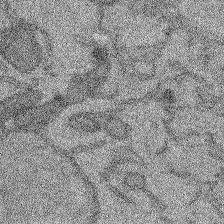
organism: Human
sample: HeLa cells